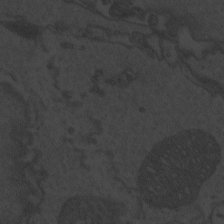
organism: Zebrafish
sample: Macrophage infected with Toxoplasma gondii